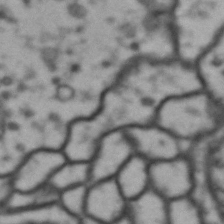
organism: Drosophila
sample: Brain